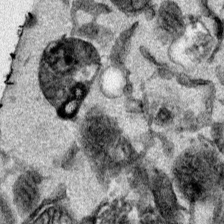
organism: Mouse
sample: Cancer cell death in ED-1 cells